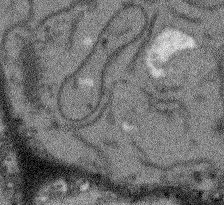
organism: Arabidopsis thaliana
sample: Root tip